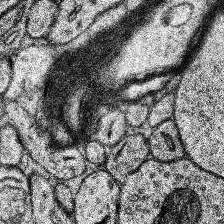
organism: Human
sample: Temporal Lobe